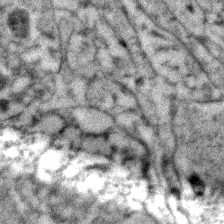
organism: Zebrafish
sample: Zebrafish embryo